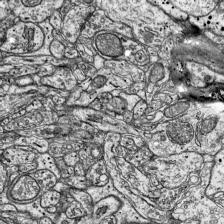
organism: Mouse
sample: Visual Cortex